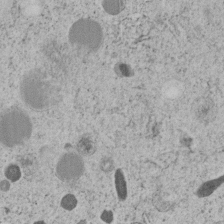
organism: C. elegans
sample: C. elegans embryo early stage